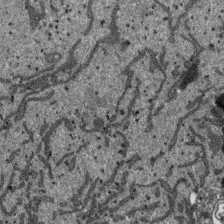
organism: Human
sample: Lung epithelial cells infected with SARS-CoV-2